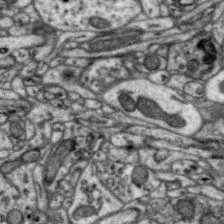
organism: Zebra finch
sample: Brain